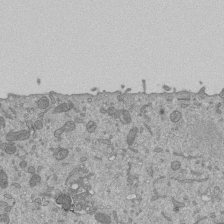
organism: Mouse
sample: ED-1 cell nuclei; centrioles